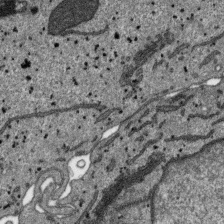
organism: Human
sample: Lung epithelial cells, uninfected (mock) control